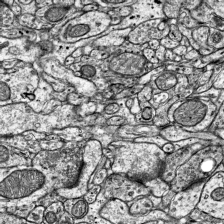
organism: Mouse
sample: Visual Cortex